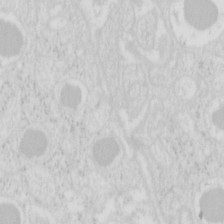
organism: Mouse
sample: Pancreas